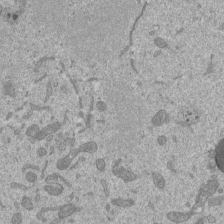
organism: Mouse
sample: ED-1 cell nuclei; centrioles